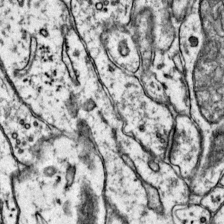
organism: Mouse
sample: Primary visual cortex